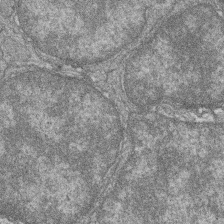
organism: Zebrafish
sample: Cilia; retinal pigment epithelium